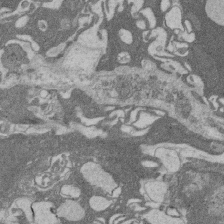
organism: Rat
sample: Salivary granule